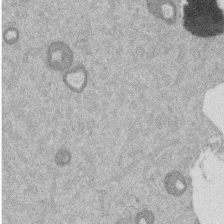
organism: Mouse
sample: Dividing mouse embryo 1 cell stage